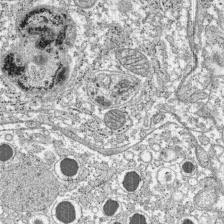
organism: C57BL Mouse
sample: Pancreatic islet